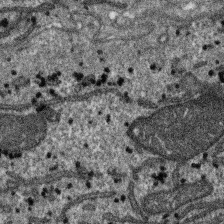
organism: Human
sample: Lung epithelial cells infected with SARS-CoV-2